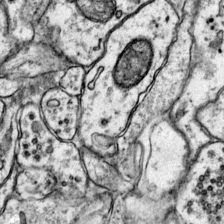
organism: Mouse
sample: Primary visual cortex